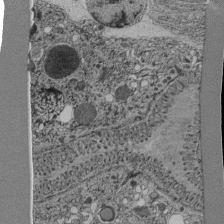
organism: C. elegans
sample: C. elegans pharynx